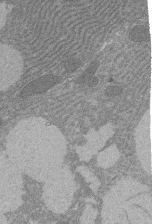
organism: Rat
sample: Salivary granule